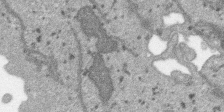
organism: Human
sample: Lung epithelial cells infected with SARS-CoV-2